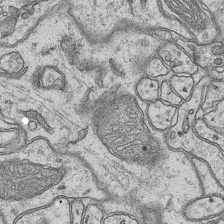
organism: Mouse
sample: CA1 Hippocampus